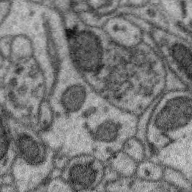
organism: Zebra finch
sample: Brain